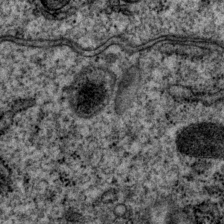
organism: P. pacificus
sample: Pharynx